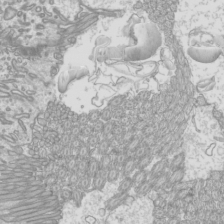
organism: Mouse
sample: Cilia; mouse epididymis